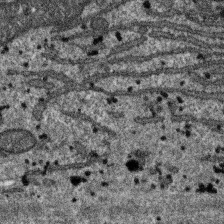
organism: Human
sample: Lung epithelial cells infected with SARS-CoV-2